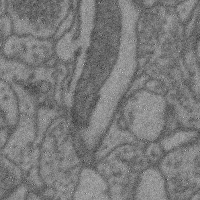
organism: Mouse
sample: Cerebral cortex